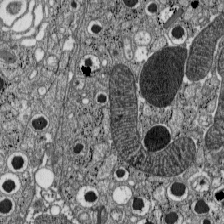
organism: C57BL Mouse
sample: Pancreatic islet